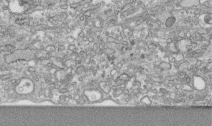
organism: Human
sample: Centriole in RPE cells